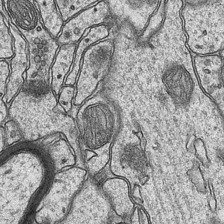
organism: Mouse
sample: CA1 Hippocampus